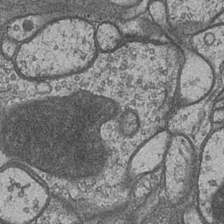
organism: Drosophila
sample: Optic medulla